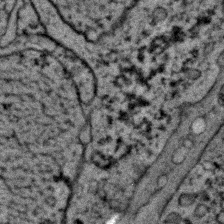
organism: C. elegans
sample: C. elegans embryo